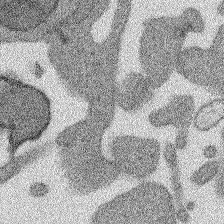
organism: Human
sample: HeLa cells